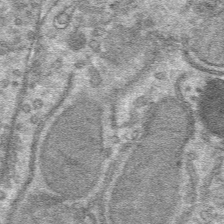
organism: Mouse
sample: Mouse hepatocytes